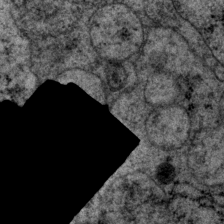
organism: P. pacificus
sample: Pharynx